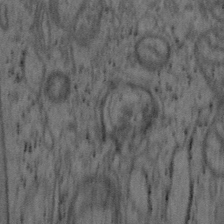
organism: Human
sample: HeLa cells